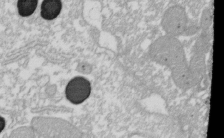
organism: Xenopus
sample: Cilia; centrioles in frog embryo cells